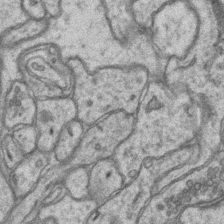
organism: Mouse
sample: CA1 Hippocampus